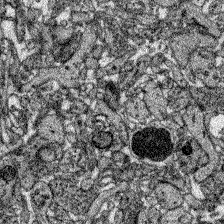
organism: Zebrafish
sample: Larval olfactory bulb